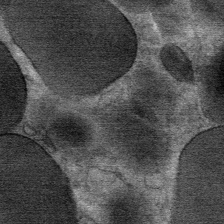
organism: Mouse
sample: Mouse Salivary gland